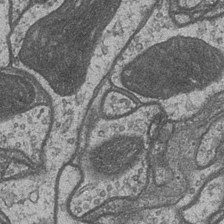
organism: Drosophila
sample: Optic medulla